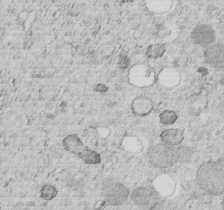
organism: C. elegans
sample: C. elegans embryo early stage